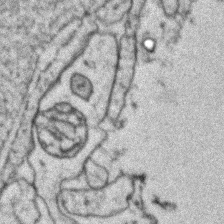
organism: Zebrafish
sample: Zebrafish embryo